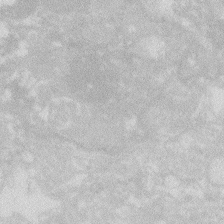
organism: Zebrafish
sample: Macrophage